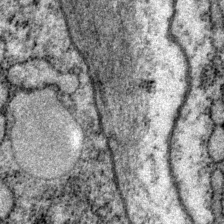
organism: P. pacificus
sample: Pharynx